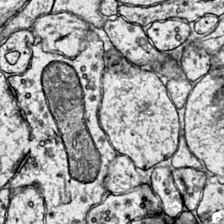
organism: Mouse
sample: Primary visual cortex